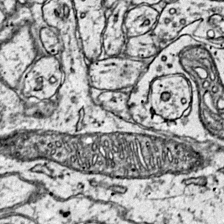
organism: Mouse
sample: Primary visual cortex